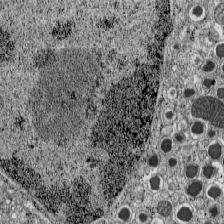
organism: C57BL Mouse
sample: Pancreatic islet